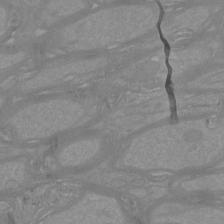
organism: Mouse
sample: Cortical neurons